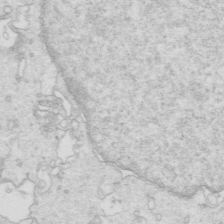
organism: Mouse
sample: Multiciliated cells